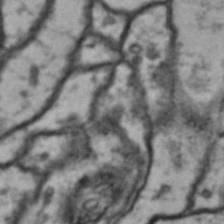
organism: Drosophila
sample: Brain